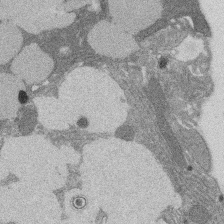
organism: Rat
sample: Salivary granule